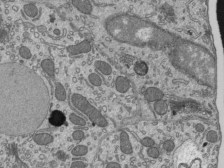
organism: Mouse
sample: Mouse epididymis efferent ductule cilia